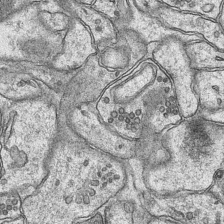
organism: Mouse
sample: CA1 Hippocampus